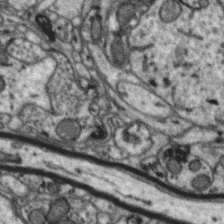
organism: Zebra finch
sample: Brain